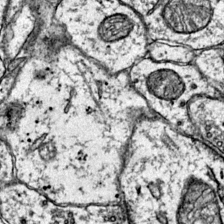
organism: Mouse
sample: Primary visual cortex